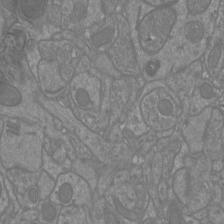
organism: Mouse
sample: Cortical neurons